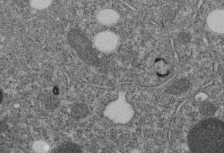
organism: C. elegans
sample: C. elegans embryo early stage